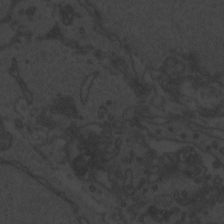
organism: Zebrafish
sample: Macrophage infected with Toxoplasma gondii